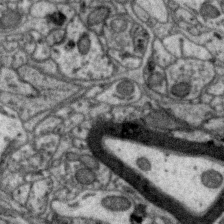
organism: Zebra finch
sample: Brain